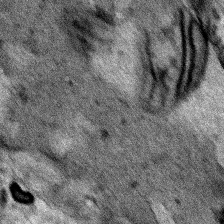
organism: Human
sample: Mitochondria in HCT116 cells